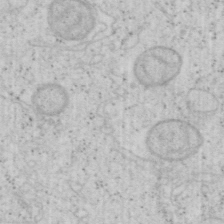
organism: Human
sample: HeLa cells